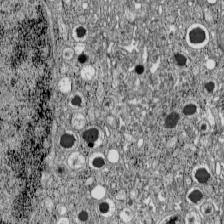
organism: C57BL Mouse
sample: Pancreatic islet